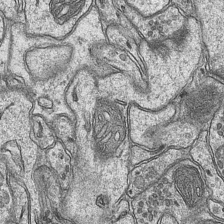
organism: Mouse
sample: CA1 Hippocampus